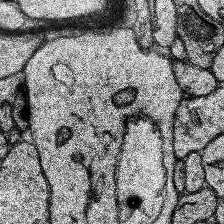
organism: Human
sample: Temporal Lobe